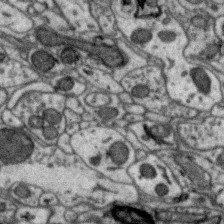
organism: Zebra finch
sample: Brain